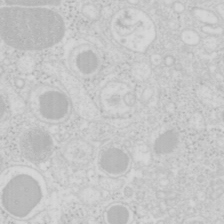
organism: Mouse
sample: Pancreas